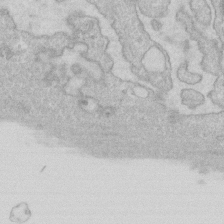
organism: Human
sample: Fibroblast cells